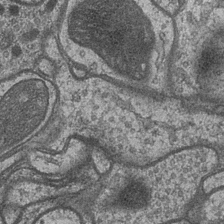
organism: Drosophila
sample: Optic medulla